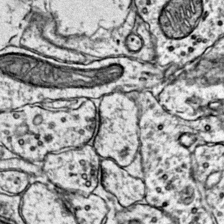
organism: Mouse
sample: Primary visual cortex